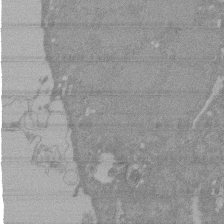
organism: Mouse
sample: ED-1 cell nuclei; centrioles